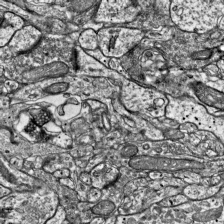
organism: Mouse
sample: Visual Cortex